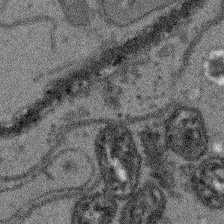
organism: Arabidopsis thaliana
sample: Root tip